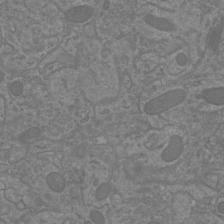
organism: Mouse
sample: Cortical neurons